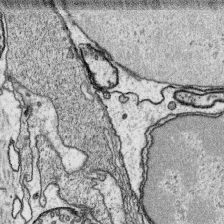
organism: Platynereis dumerilii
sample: Parapodia